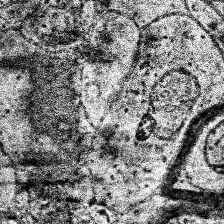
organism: Human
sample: Temporal Lobe